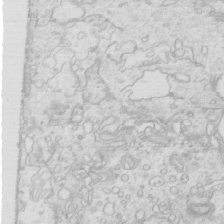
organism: Mouse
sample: Multiciliated cells